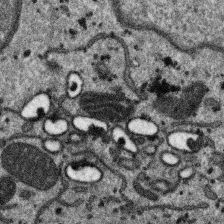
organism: Human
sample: Lung epithelial cells infected with SARS-CoV-2